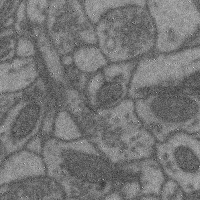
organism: Mouse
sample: Cerebral cortex